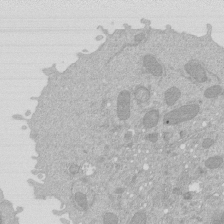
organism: Mouse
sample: Activated Pmel transgenic CD8+ T Cells